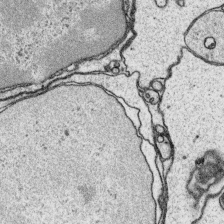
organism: Platynereis dumerilii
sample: Parapodia